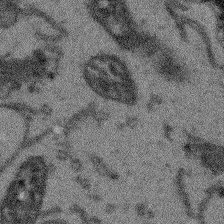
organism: Arabidopsis thaliana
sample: Root tip